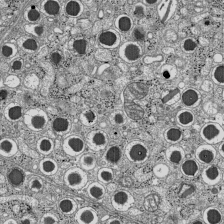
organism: C57BL Mouse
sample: Pancreatic islet